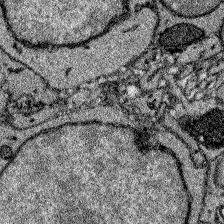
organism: Zebrafish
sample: Larval olfactory bulb